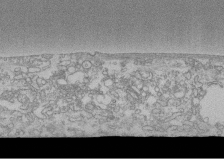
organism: Human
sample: CRL-1474